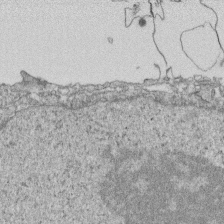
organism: Human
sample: HeLa cell HIV synapse